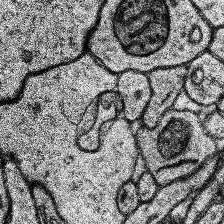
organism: Human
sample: Temporal Lobe